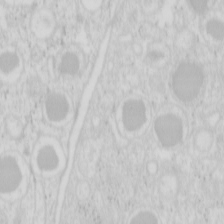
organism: Mouse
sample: Pancreas